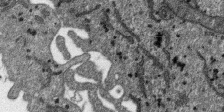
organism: Human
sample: Lung epithelial cells infected with SARS-CoV-2